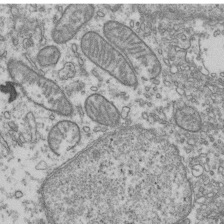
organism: Human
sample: Activated Jurkat CD4+ T cells